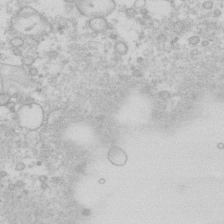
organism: Human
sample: Fibroblast cells